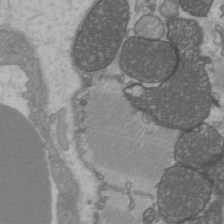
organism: C57BL Mouse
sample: Heart